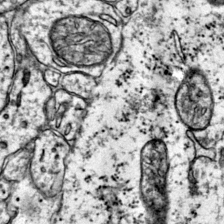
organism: Mouse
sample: Primary visual cortex